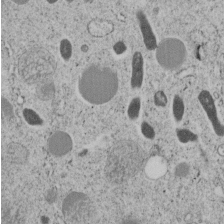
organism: C. elegans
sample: C. elegans embryo early stage